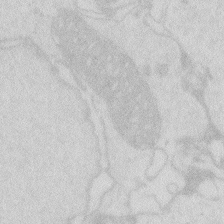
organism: Zebrafish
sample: Macrophage